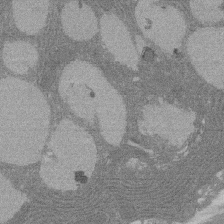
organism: Rat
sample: Salivary granule